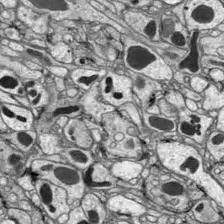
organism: Drosophila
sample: Optic lobe